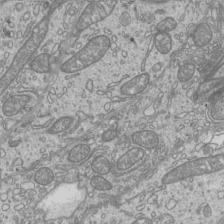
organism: Mouse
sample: Cilia; mouse epididymis